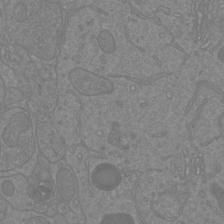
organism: Mouse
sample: Cortical neurons